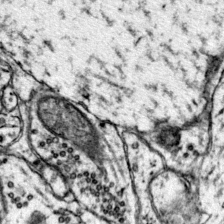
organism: Mouse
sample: Primary visual cortex